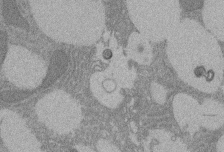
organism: Rat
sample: Salivary granule